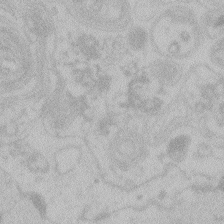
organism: Zebrafish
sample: Macrophage infected with Toxoplasma gondii